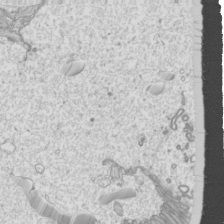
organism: Mouse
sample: Cilia; mouse epididymis